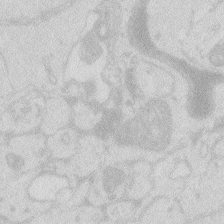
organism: Zebrafish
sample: Macrophage